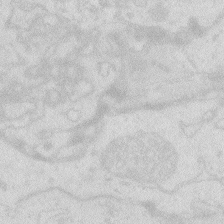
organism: Zebrafish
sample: Macrophage